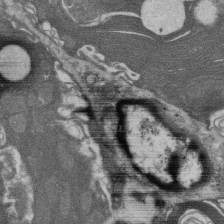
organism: Rat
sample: Salivary granule